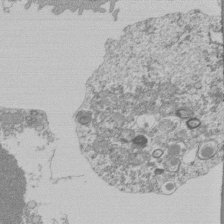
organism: Mouse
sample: Activated Pmel transgenic CD8+ T Cells